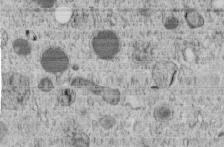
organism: C. elegans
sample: C. elegans embryo early stage